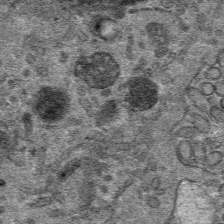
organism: Mouse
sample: Mouse hepatocytes